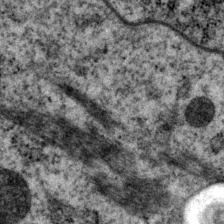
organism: P. pacificus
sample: Pharynx